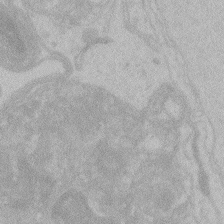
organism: Zebrafish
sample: Macrophage infected with Toxoplasma gondii